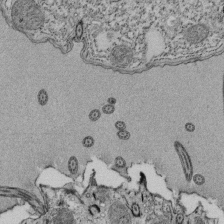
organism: Tetrahymena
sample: Cilia in tetrahymena